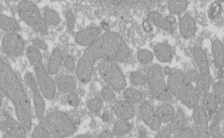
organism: Xenopus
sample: Cilia; centrioles in frog embryo cells